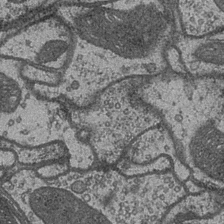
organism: Drosophila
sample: Optic medulla